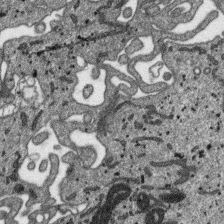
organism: Human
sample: Lung epithelial cells infected with SARS-CoV-2